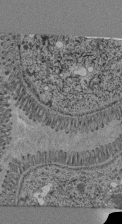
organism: C. elegans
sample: C. elegans pharynx